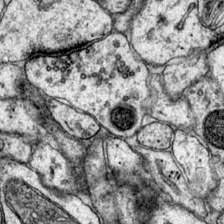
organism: Mouse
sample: Primary visual cortex